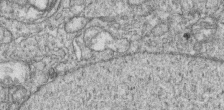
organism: Human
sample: HeLa cell HIV synapse